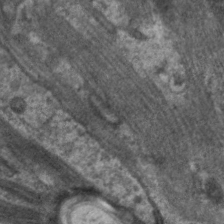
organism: C. elegans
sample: Pharynx